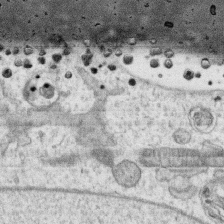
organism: Human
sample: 1205lu cells